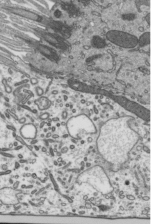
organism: Mouse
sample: Mouse epididymis efferent ductule cilia